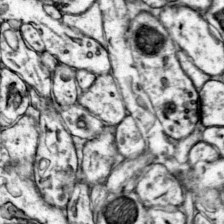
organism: Mouse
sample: Primary visual cortex